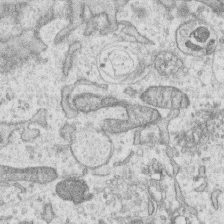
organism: Human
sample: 1205lu cells